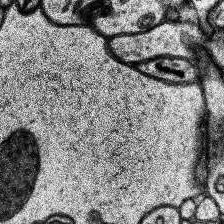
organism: Human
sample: Temporal Lobe